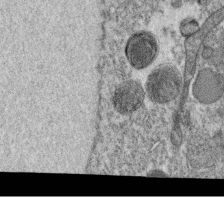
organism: C. elegans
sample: C. elegans oocyte; sperm cells